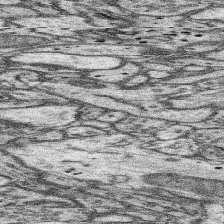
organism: Mouse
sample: Somatosensory cortex neuropil